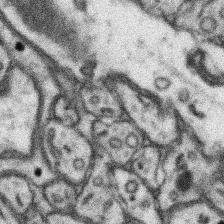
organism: Mouse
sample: Somatosensory cortex neuropil